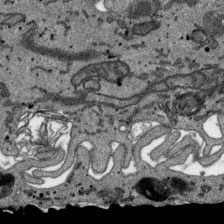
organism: Human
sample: Lung epithelial cells, uninfected (mock) control